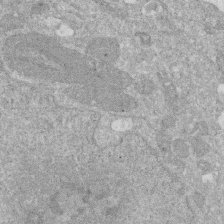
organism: Human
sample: HIV infected U937 cells